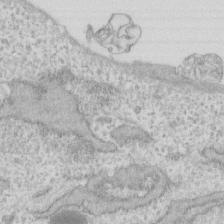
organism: Human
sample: Fibroblast cells